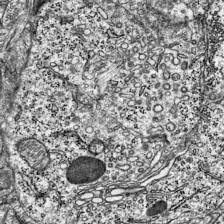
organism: Mouse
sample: Visual Cortex